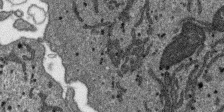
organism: Human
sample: Lung epithelial cells infected with SARS-CoV-2